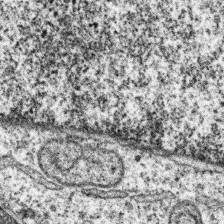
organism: Human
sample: HeLa cells